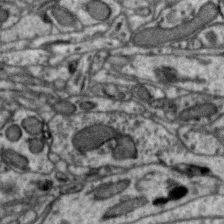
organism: Zebra finch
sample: Brain